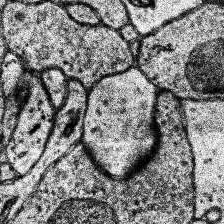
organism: Human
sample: Temporal Lobe